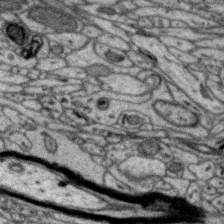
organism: Zebra finch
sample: Brain